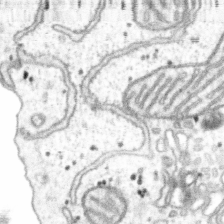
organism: Human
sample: HeLa cells